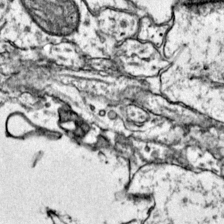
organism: Mouse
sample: Primary visual cortex